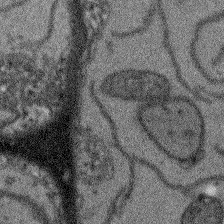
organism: Arabidopsis thaliana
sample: Root tip